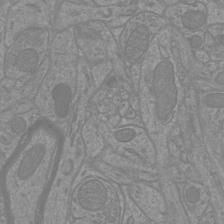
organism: Mouse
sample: Cortical neurons